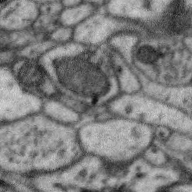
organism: Zebra finch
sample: Brain